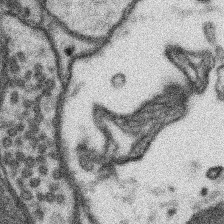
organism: Mouse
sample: Somatosensory cortex neuropil